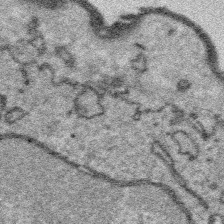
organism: Platynereis dumerilii